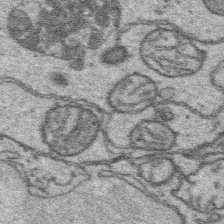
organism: Platynereis dumerilii